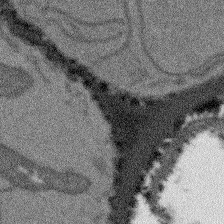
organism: Arabidopsis thaliana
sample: Root tip